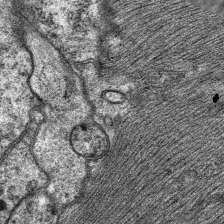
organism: C. elegans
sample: Pharynx